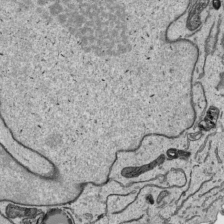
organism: Human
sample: Mitochondria in HCT116 cells